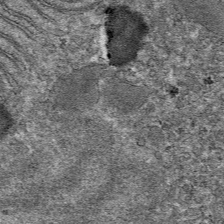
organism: Mouse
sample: Mouse hepatocytes